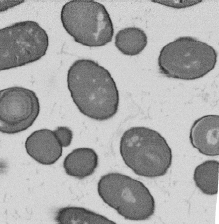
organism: B. subtilis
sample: Bacterial spore